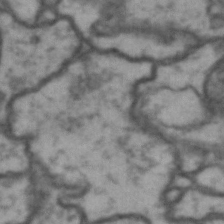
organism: Drosophila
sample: Brain